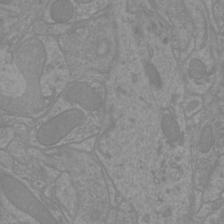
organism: Mouse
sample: Cortical neurons